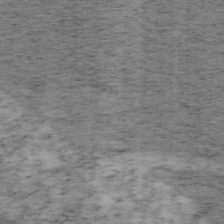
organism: Mouse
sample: OT-I killer T cells with ID8 ovarian cancer cells